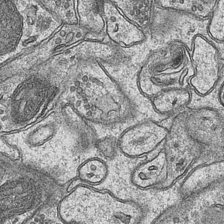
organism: Mouse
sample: CA1 Hippocampus